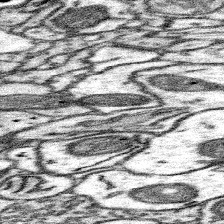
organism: Mouse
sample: Somatosensory cortex neuropil